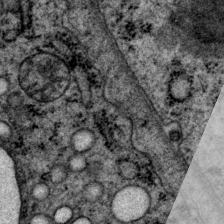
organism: P. pacificus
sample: Pharynx